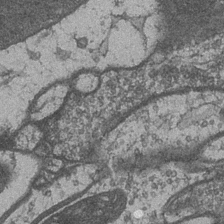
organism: Drosophila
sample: Optic medulla